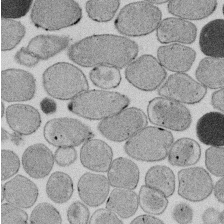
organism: E. coli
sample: Bacterial nucleoid